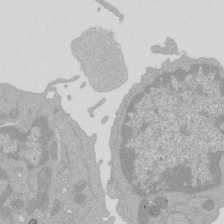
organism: Mouse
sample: Activated Pmel transgenic CD8+ T Cells